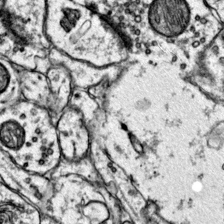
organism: Mouse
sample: Primary visual cortex